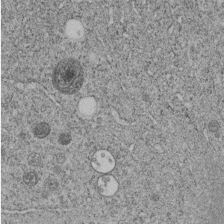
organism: C. elegans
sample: C. elegans embryo early stage